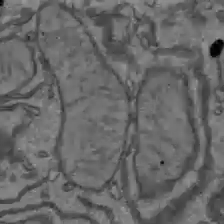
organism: C57BL Mouse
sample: Liver